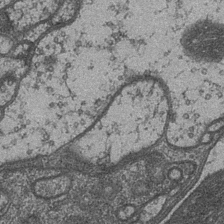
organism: Drosophila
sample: Optic medulla